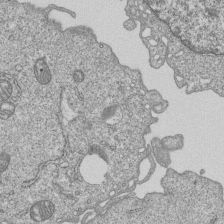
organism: Human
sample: MDA-MB-231 cells